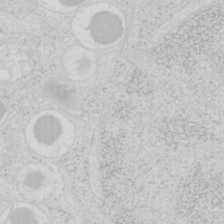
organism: Mouse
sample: Pancreas